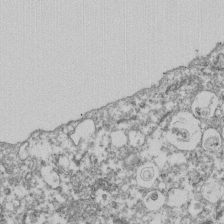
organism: Dictyostelium discoideum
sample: Dictyostelium multivesicular bodies